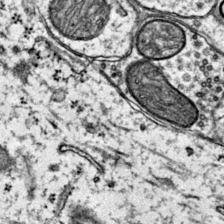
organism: Mouse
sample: Primary visual cortex